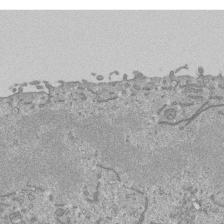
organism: Mouse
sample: ED-1 cell nuclei; centrioles